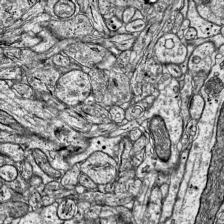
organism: Mouse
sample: Visual Cortex